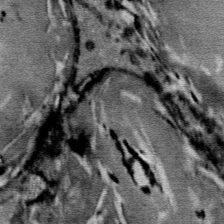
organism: Mouse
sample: Mouse Salivary gland